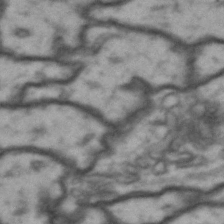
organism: Drosophila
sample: Brain